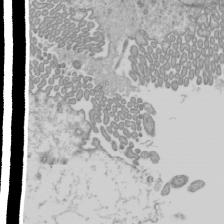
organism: Mouse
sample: Cilia; mouse epididymis